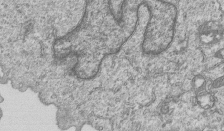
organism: Human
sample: MDA-MB-231 cells